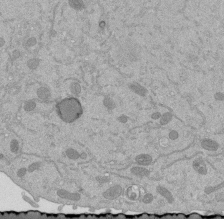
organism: Mouse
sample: ED-1 cell nuclei; centrioles